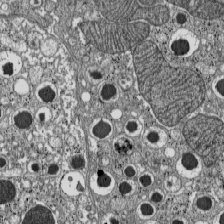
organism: C57BL Mouse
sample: Pancreatic islet